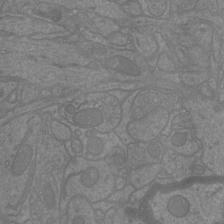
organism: Mouse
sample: Cortical neurons